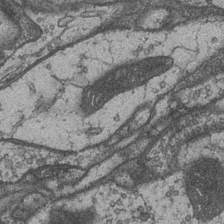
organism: Drosophila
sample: Optic medulla